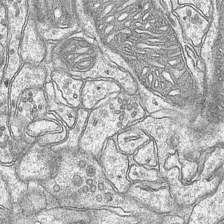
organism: Mouse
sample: CA1 Hippocampus